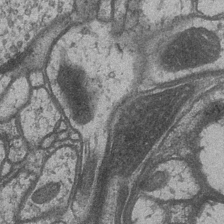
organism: Drosophila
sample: Optic medulla